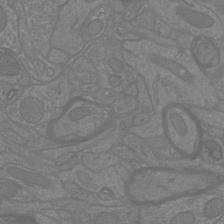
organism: Mouse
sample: Cortical neurons